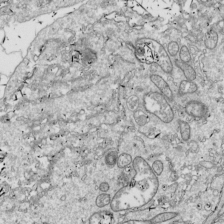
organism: Drosophila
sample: Cell division; meiosis; drosophila spermatocytes